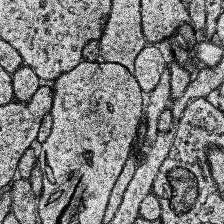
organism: Human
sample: Temporal Lobe